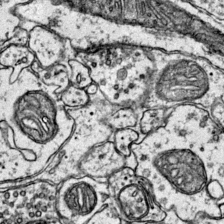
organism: Mouse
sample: Primary visual cortex